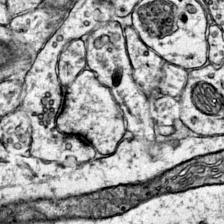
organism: Mouse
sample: Primary visual cortex